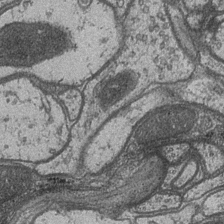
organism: Drosophila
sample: Optic medulla